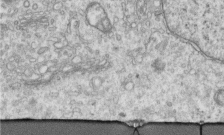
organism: Human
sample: Centriole in RPE cells